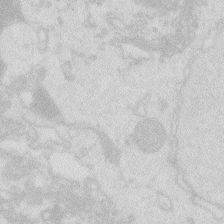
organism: Zebrafish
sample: Macrophage